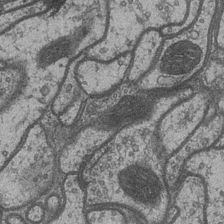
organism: Drosophila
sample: Optic medulla